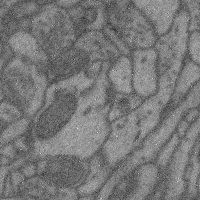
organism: Mouse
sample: Cerebral cortex